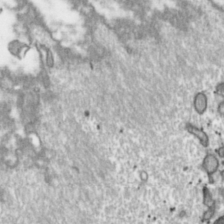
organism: Toxoplasma gondii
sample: Parasites in a vacuole inside a host cell